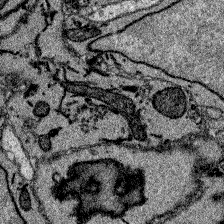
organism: Zebrafish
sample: Larval olfactory bulb